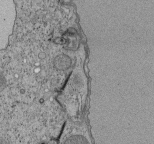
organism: Tetrahymena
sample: Cilia in tetrahymena